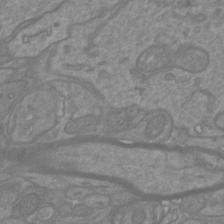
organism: Mouse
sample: Cortical neurons